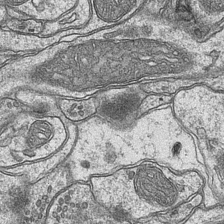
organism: Mouse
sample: CA1 Hippocampus